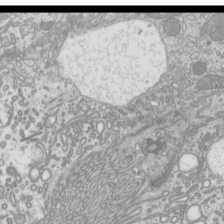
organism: Mouse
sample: Cilia; mouse epididymis